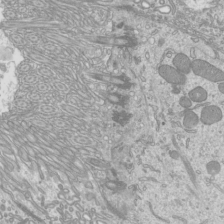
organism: Mouse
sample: Cilia; mouse epididymis